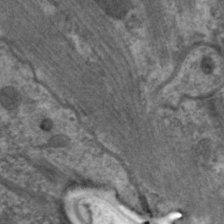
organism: C. elegans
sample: Pharynx